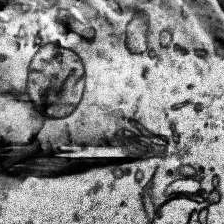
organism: Human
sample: Temporal Lobe